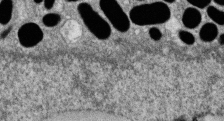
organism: Zebrafish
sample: Cilia; retinal pigment epithelium